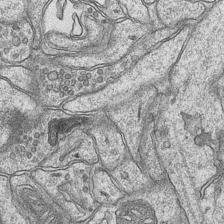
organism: Mouse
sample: CA1 Hippocampus